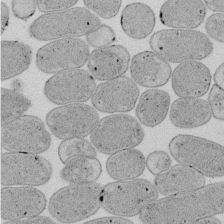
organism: E. coli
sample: Bacterial nucleoid